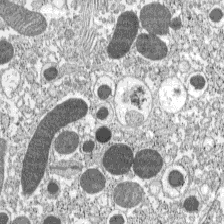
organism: C57BL Mouse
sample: Pancreatic islet